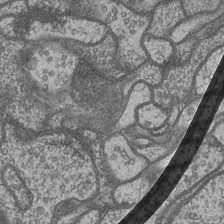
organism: Drosophila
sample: Optic medulla